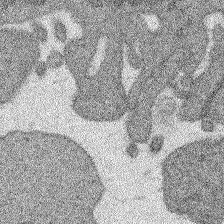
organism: Human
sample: HeLa cells